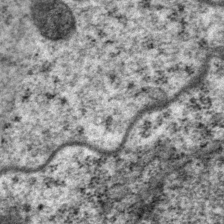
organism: P. pacificus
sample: Pharynx